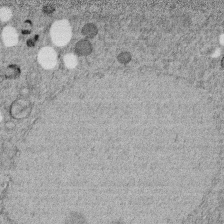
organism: C. elegans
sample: C. elegans embryo early stage